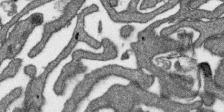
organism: Human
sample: Lung epithelial cells, uninfected (mock) control